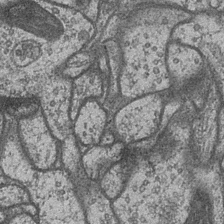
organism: Drosophila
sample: Optic medulla